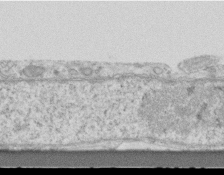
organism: Mouse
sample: Centriole in ependymal cells